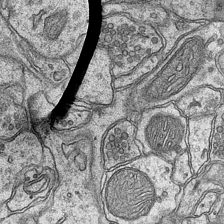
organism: Mouse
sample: CA1 Hippocampus